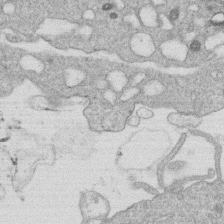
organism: Human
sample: Macrophage cells